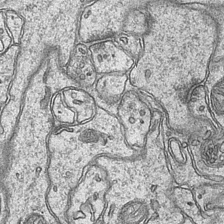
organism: Mouse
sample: CA1 Hippocampus